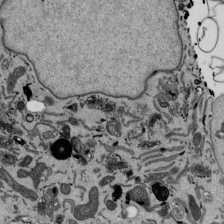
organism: Mouse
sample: ED-1 cell nuclei; centrioles